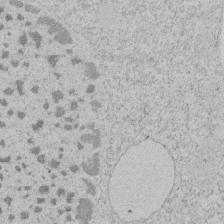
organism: Tetrahymena